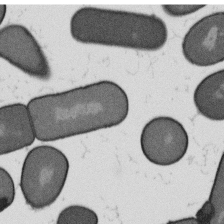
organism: B. subtilis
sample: Bacterial spore